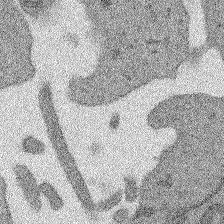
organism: Human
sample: HeLa cells